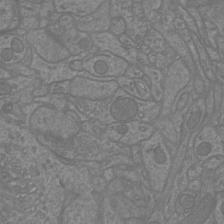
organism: Mouse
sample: Cortical neurons